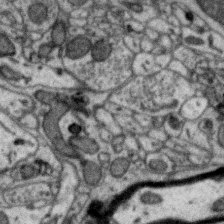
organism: Zebra finch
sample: Brain